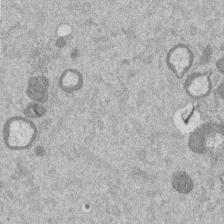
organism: Mouse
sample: Dividing mouse embryo 1 cell stage